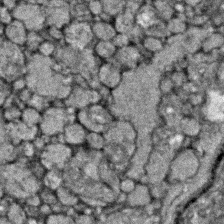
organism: Zebrafish